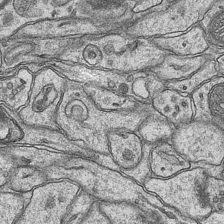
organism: Mouse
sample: CA1 Hippocampus